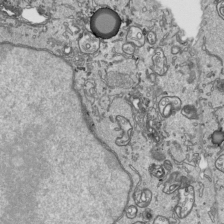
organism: Human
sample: Mitochondria in HCT116 cells